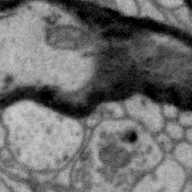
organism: Zebra finch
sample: Brain